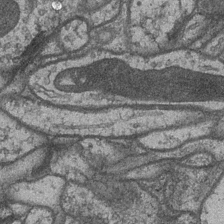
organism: Drosophila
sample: Optic medulla